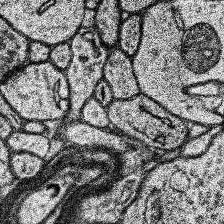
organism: Human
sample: Temporal Lobe